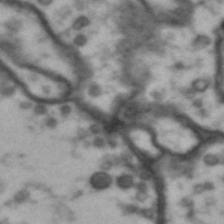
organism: Drosophila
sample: Brain